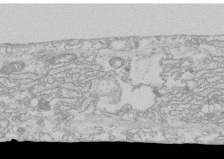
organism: Human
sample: CRL-1474